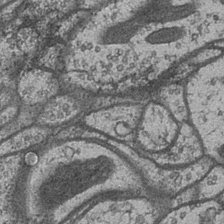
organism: Drosophila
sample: Optic medulla